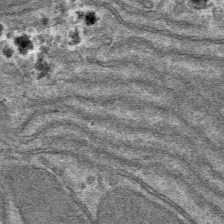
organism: Mouse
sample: Mouse hepatocytes